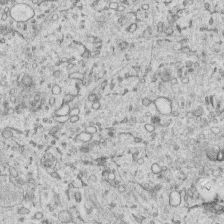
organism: Human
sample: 1205lu cells